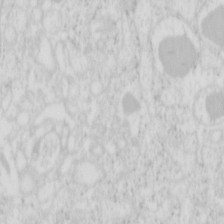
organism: Mouse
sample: Pancreas